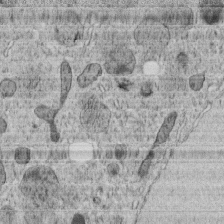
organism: C. elegans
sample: C. elegans embryo early stage